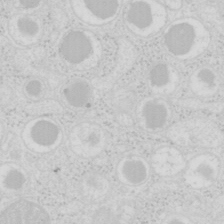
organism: Mouse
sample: Pancreas